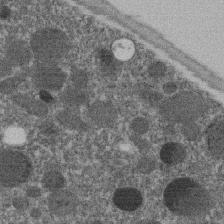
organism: C. elegans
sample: C. elegans embryo early stage